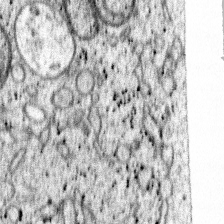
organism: Human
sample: HeLa cells